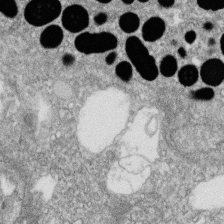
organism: Zebrafish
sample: Cilia; retinal pigment epithelium